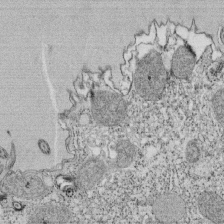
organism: Tetrahymena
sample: Cilia in tetrahymena